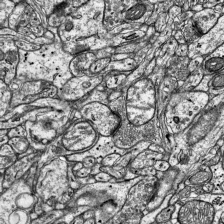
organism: Mouse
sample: Visual Cortex